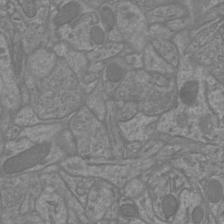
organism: Mouse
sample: Cortical neurons